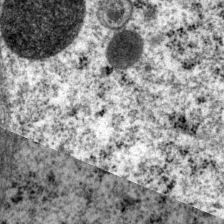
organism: P. pacificus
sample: Pharynx